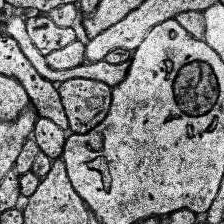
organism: Human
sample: Temporal Lobe